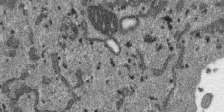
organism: Human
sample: Lung epithelial cells infected with SARS-CoV-2